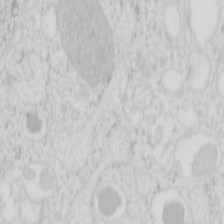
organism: Mouse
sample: Pancreas